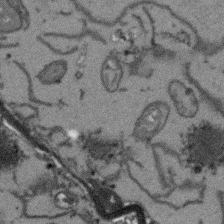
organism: Arabidopsis thaliana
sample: Root tip